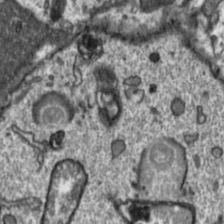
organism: Toxoplasma gondii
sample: Parasites in a vacuole inside a host cell